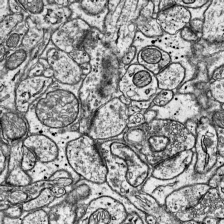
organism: Mouse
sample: Visual Cortex